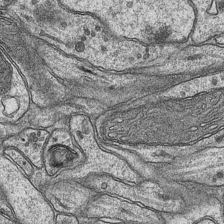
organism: Mouse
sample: CA1 Hippocampus